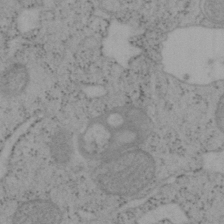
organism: Mouse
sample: OT-I killer T cells with ID8 ovarian cancer cells